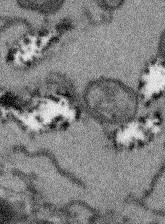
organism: Arabidopsis thaliana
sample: Root tip